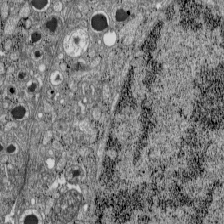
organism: C57BL Mouse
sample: Pancreatic islet